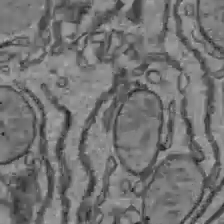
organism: C57BL Mouse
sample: Liver